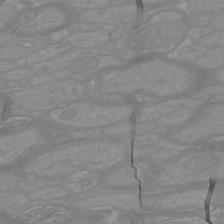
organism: Mouse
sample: Cortical neurons